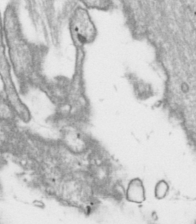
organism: Toxoplasma gondii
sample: Parasites in a vacuole inside a host cell